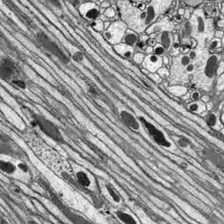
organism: Drosophila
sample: Optic lobe